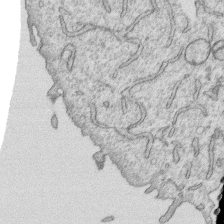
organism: Human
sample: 1205lu cells